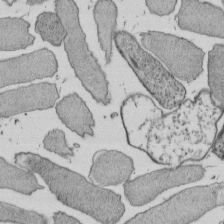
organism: E. coli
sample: Bacterial nucleoid